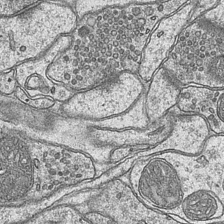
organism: Mouse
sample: CA1 Hippocampus